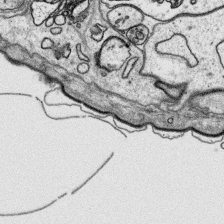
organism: Platynereis dumerilii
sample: Parapodia